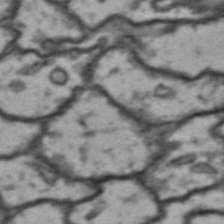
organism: Drosophila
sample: Brain